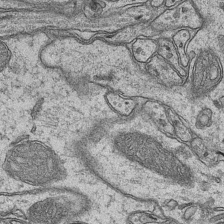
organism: Mouse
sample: CA1 Hippocampus